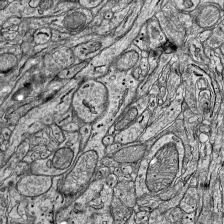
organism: Mouse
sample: Visual Cortex